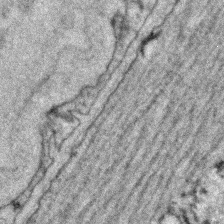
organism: C. elegans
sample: C. elegans embryo